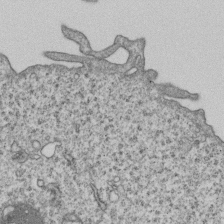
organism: Human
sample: MDA-MB-231 cells